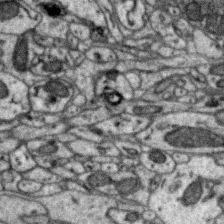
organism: Zebra finch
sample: Brain